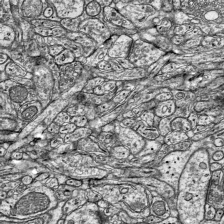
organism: Mouse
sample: Visual Cortex